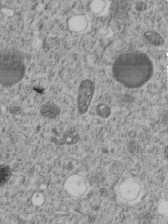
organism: C. elegans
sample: C. elegans embryo early stage